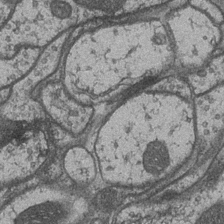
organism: Drosophila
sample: Optic medulla